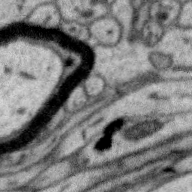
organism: Zebra finch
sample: Brain